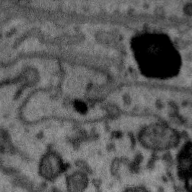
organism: Zebra finch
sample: Brain